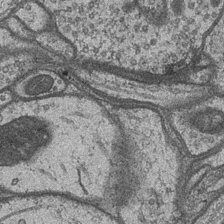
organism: Drosophila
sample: Optic medulla